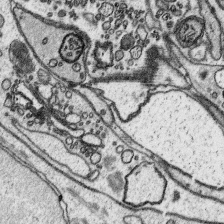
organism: Platynereis dumerilii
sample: Parapodia